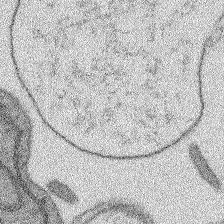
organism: Human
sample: HeLa cells